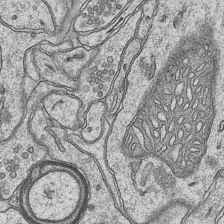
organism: Mouse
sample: CA1 Hippocampus